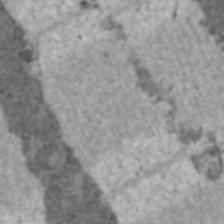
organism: C57BL Mouse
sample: Heart